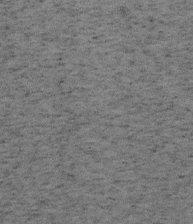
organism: Mouse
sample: OT-I killer T cells with ID8 ovarian cancer cells